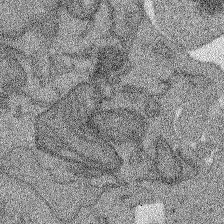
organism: Human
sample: HeLa cells